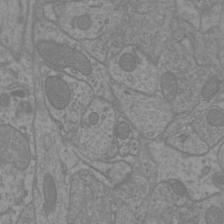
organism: Mouse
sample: Cortical neurons